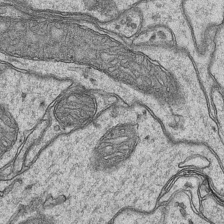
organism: Mouse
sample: CA1 Hippocampus